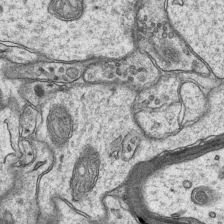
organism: Mouse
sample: CA1 Hippocampus